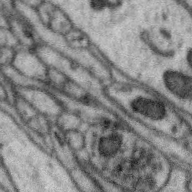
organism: Zebra finch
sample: Brain